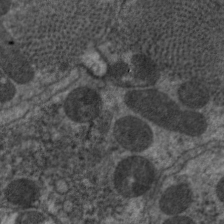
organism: C. elegans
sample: Pharynx